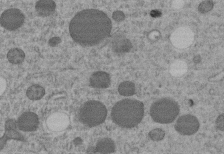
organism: C. elegans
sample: C. elegans embryo early stage